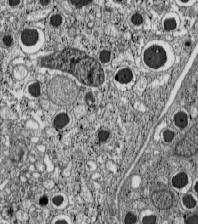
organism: C57BL Mouse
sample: Pancreatic islet